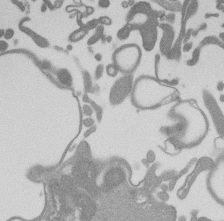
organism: Mouse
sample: Dividing mouse embryo 1 cell stage